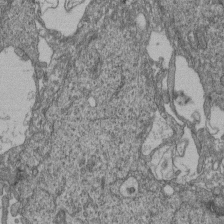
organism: Human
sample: Retinal organoid Rod and Cone cells